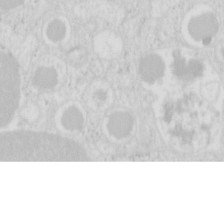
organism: Mouse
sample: Pancreas